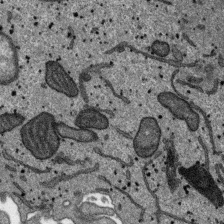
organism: Human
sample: Lung epithelial cells, uninfected (mock) control